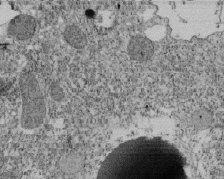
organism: Tetrahymena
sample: Cilia in tetrahymena